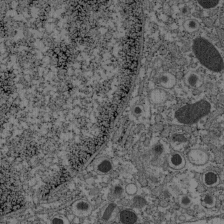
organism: C57BL Mouse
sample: Pancreatic islet